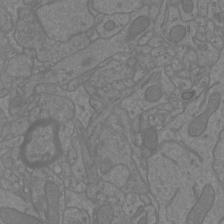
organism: Mouse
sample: Cortical neurons